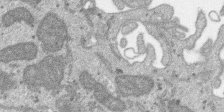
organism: Human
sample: Lung epithelial cells infected with SARS-CoV-2